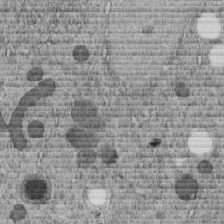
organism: C. elegans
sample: C. elegans embryo early stage